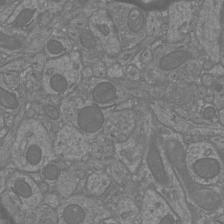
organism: Mouse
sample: Cortical neurons